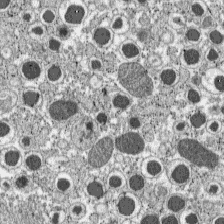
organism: C57BL Mouse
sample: Pancreatic islet